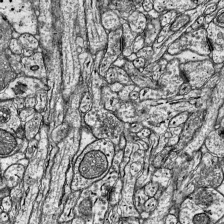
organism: Mouse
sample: Visual Cortex